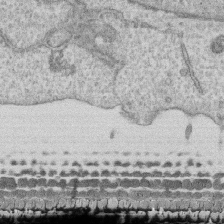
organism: Human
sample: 1205lu cells